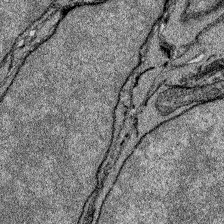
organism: Zebrafish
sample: Larval olfactory bulb